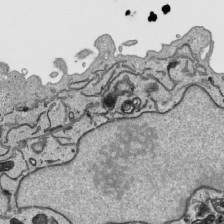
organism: Human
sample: Mitochondria in HCT116 cells